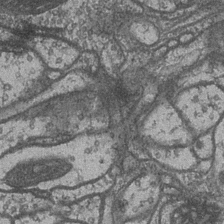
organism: Drosophila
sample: Optic medulla